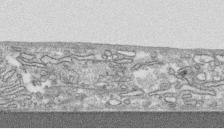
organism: Human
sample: CRL-1474